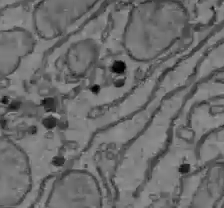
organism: C57BL Mouse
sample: Liver